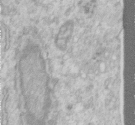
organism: Human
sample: Centriole in RPE cells